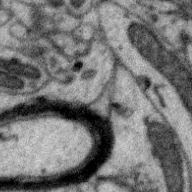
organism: Zebra finch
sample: Brain